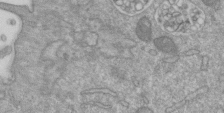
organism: Mouse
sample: ED-1 cell nuclei; centrioles